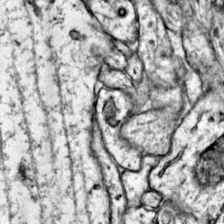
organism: Mouse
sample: Primary visual cortex